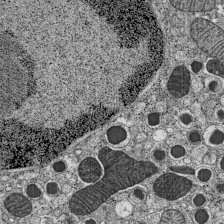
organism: C57BL Mouse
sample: Pancreatic islet